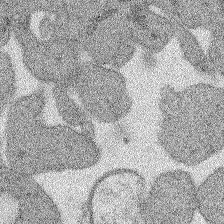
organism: Human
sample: HeLa cells